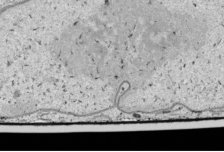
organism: Human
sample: Mitochondria in HCT116 cells